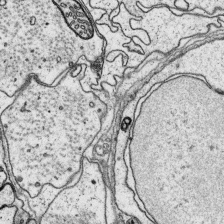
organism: Platynereis dumerilii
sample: Parapodia